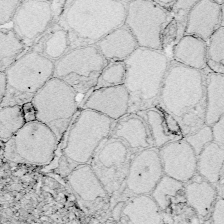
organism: Zebrafish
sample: Whole-Brain